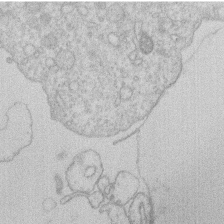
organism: Human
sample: Macrophage cells